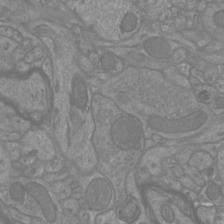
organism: Mouse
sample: Cortical neurons